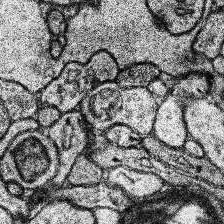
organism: Human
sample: Temporal Lobe